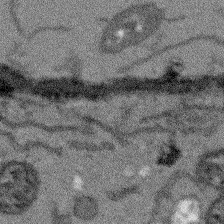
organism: Arabidopsis thaliana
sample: Root tip